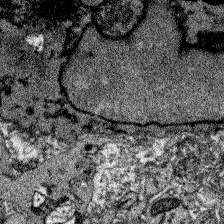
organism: Zebrafish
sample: Larval olfactory bulb